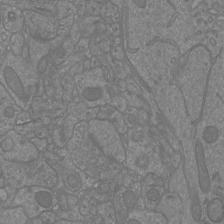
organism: Mouse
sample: Cortical neurons